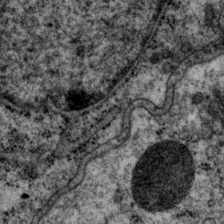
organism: P. pacificus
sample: Pharynx